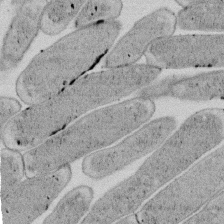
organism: E. coli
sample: Bacterial nucleoid